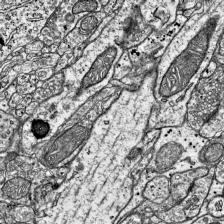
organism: Mouse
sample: Visual Cortex